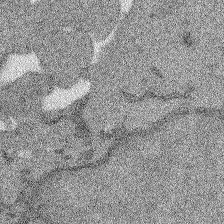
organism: Human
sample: HeLa cells